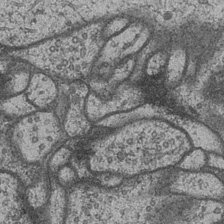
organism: Drosophila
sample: Optic medulla